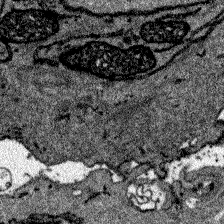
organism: Zebrafish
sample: Larval olfactory bulb